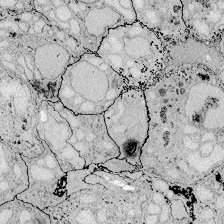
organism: Zebrafish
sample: Whole-Brain